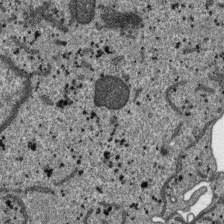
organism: Human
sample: Lung epithelial cells infected with SARS-CoV-2